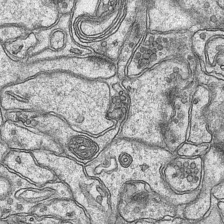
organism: Mouse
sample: CA1 Hippocampus